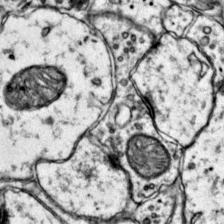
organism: Mouse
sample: Primary visual cortex